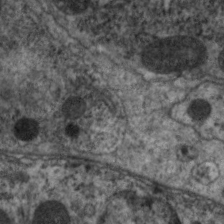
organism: C. elegans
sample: Pharynx